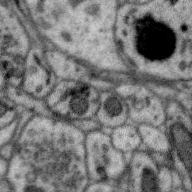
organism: Zebra finch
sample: Brain